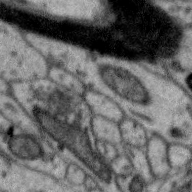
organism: Zebra finch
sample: Brain